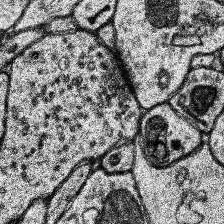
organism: Human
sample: Temporal Lobe